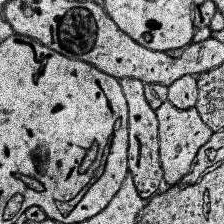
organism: Human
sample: Temporal Lobe